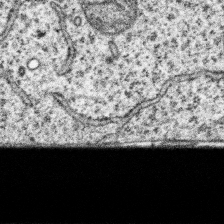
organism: Human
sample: HeLa cells